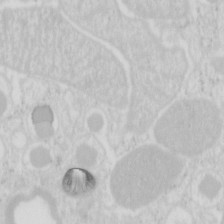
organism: Mouse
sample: Pancreas